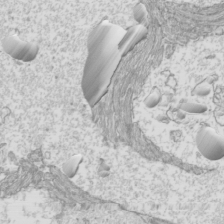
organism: Mouse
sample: Cilia; mouse epididymis